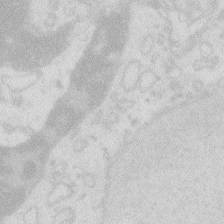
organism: Zebrafish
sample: Macrophage